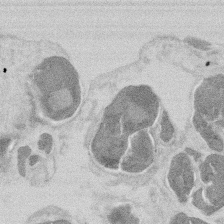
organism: Mouse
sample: T cell stromal cell synapse